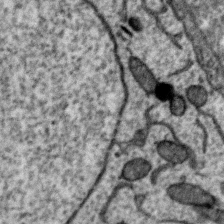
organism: Zebra finch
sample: Brain